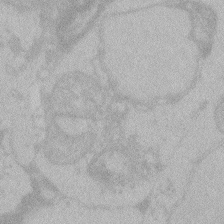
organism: Zebrafish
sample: Macrophage infected with Toxoplasma gondii